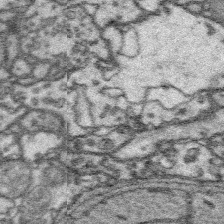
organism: Platynereis dumerilii